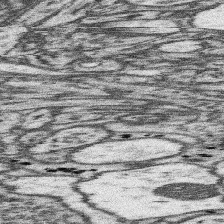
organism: Mouse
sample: Somatosensory cortex neuropil